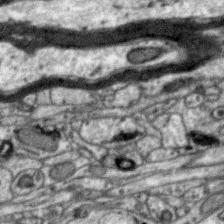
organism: Zebra finch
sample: Brain